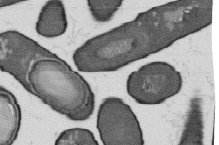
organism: B. subtilis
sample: Bacterial spore